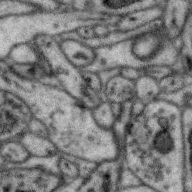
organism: Zebra finch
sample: Brain